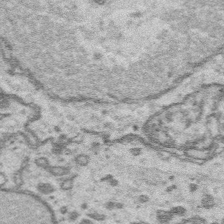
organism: Platynereis dumerilii